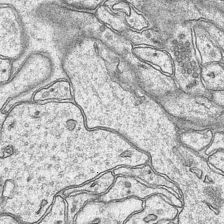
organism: Mouse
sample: CA1 Hippocampus